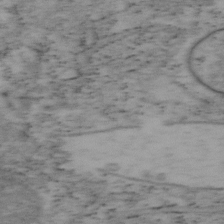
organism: Mouse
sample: OT-I killer T cells with ID8 ovarian cancer cells